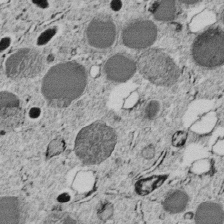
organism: C. elegans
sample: C. elegans embryo early stage